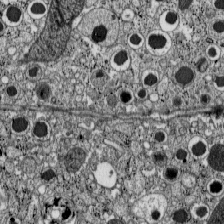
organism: C57BL Mouse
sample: Pancreatic islet